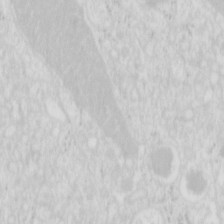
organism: Mouse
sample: Pancreas